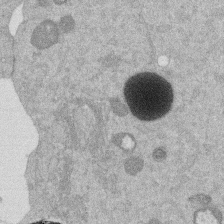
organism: Mouse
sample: Dividing mouse embryo 1 cell stage